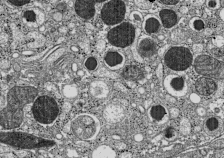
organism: C57BL Mouse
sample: Pancreatic islet